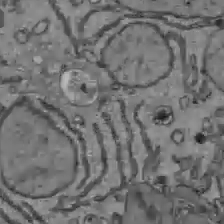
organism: C57BL Mouse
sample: Liver